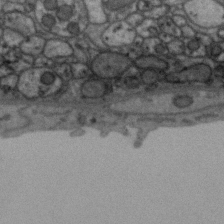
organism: Zebra finch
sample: Brain